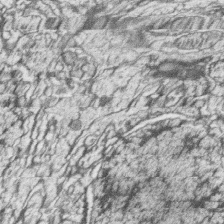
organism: Zebrafish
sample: synaptic ribbons in rod cells and cone cells